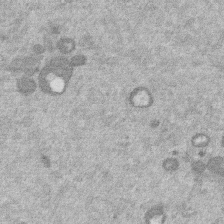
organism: Mouse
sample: Dividing mouse embryo 1 cell stage